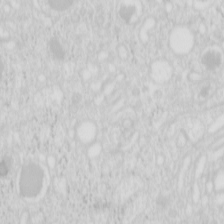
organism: Mouse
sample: Pancreas